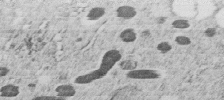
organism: C. elegans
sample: C. elegans embryo early stage